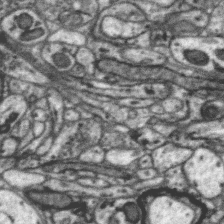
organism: Zebra finch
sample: Brain